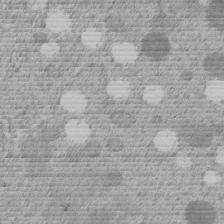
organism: C. elegans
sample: C. elegans embryo early stage